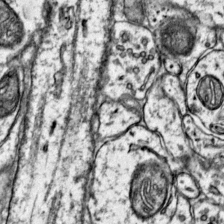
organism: Mouse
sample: Primary visual cortex